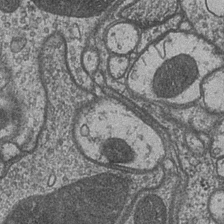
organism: Drosophila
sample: Optic medulla